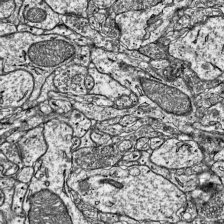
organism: Mouse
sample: Visual Cortex